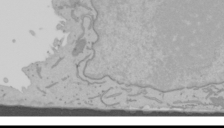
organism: Mouse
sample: Cancer cell death in ED-1 cells